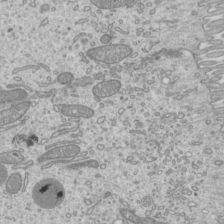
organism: Mouse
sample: Cilia; mouse epididymis